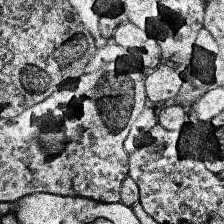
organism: Human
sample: Temporal Lobe